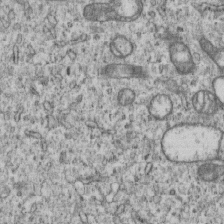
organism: Human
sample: MDA-MB-231 cells